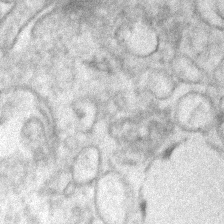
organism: Human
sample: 1205lu cells